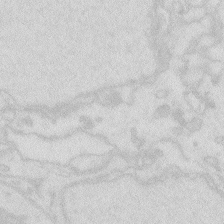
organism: Zebrafish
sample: Macrophage